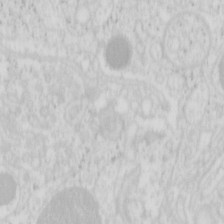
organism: Mouse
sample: Pancreas